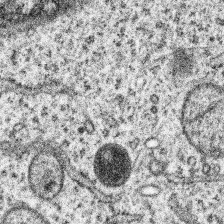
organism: Human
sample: HeLa cells